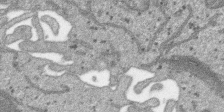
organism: Human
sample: Lung epithelial cells infected with SARS-CoV-2